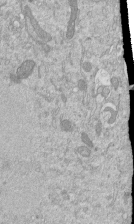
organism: Mouse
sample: ED-1 cell nuclei; centrioles